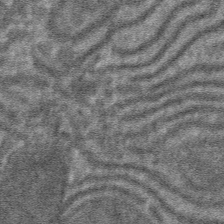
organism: Mouse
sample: Mouse hepatocytes